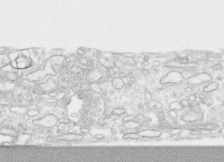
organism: Human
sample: CRL-1474